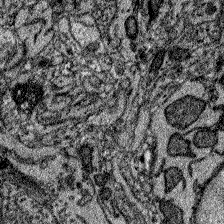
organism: Zebrafish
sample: Larval olfactory bulb